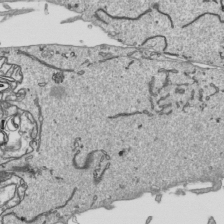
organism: Human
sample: Mitochondria in HCT116 cells